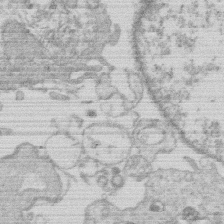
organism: Human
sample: Macrophage cells